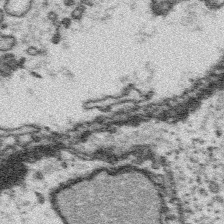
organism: Platynereis dumerilii